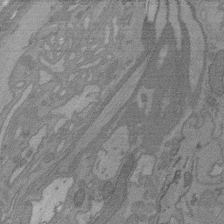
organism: C. elegans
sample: AFD neurons C. elegans